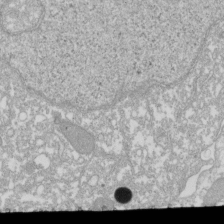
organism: Xenopus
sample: Cilia; centrioles in frog embryo cells